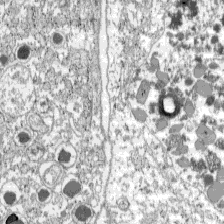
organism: C57BL Mouse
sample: Pancreatic islet